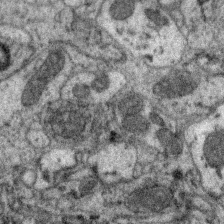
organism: Zebra finch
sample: Brain